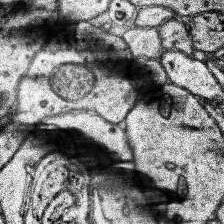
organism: Human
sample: Temporal Lobe